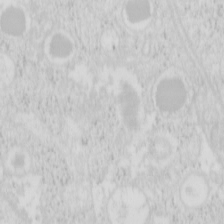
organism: Mouse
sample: Pancreas